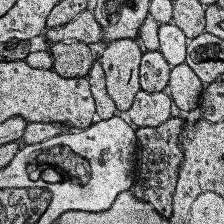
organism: Human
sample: Temporal Lobe